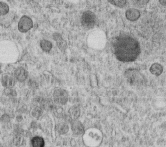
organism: C. elegans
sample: C. elegans embryo early stage